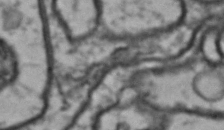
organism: Drosophila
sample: Brain